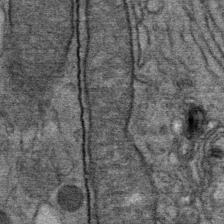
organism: Mouse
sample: Mouse Salivary gland